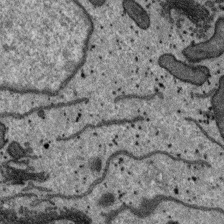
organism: Human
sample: Lung epithelial cells, uninfected (mock) control